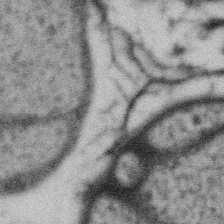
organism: Gemmata obscuriglobus